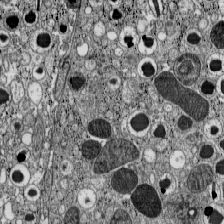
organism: C57BL Mouse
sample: Pancreatic islet